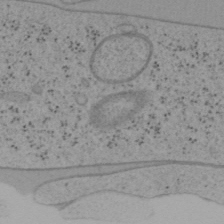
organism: Human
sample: HeLa cells